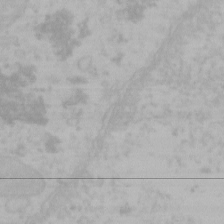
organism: Mouse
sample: Choroid plexus